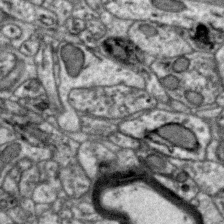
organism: Zebra finch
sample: Brain